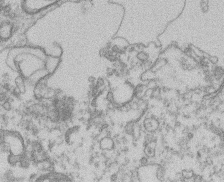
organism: Mouse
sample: T cell stromal cell synapse